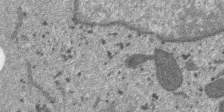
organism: Human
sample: Lung epithelial cells infected with SARS-CoV-2